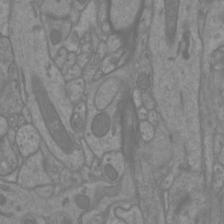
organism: Mouse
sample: Cortical neurons